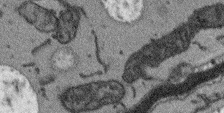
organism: Arabidopsis thaliana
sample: Root tip